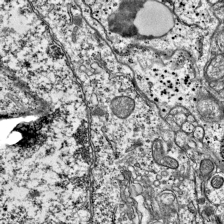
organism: Mouse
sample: Visual Cortex